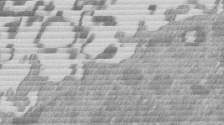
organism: Mouse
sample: Dividing mouse embryo 1 cell stage